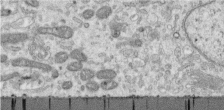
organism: Human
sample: Centriole in RPE cells